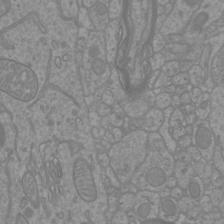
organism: Mouse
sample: Cortical neurons